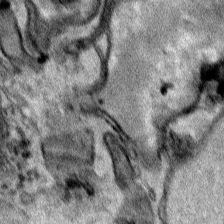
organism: Human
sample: Mitochondria in HCT116 cells